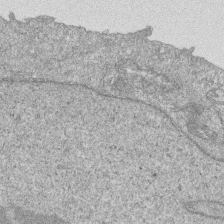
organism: Human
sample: HeLa cell HIV synapse